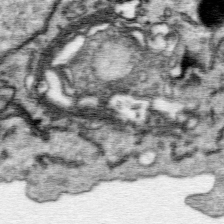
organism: Human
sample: HeLa cells